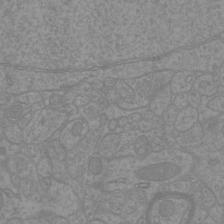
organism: Mouse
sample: Cortical neurons